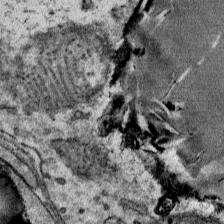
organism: Mouse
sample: Mouse Salivary gland